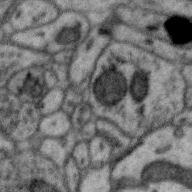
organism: Zebra finch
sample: Brain